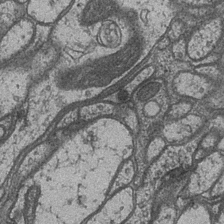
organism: Drosophila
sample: Optic medulla